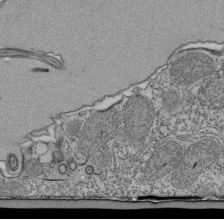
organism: Tetrahymena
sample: Cilia in tetrahymena